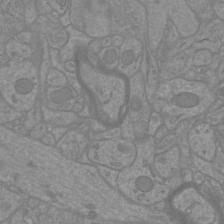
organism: Mouse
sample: Cortical neurons